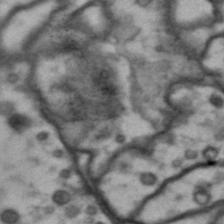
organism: Drosophila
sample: Brain